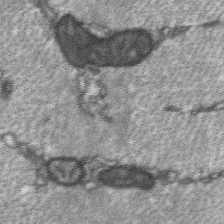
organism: C57BL Mouse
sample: Soleus